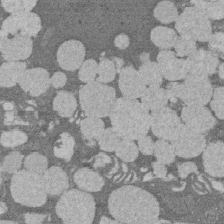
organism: Rat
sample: Salivary granule